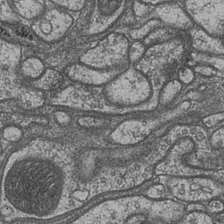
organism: Drosophila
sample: Optic medulla